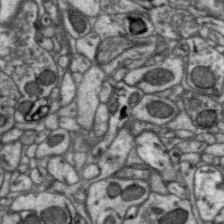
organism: Zebra finch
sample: Brain